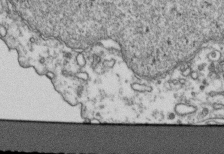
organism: Human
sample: Activated Jurkat CD4+ T cells